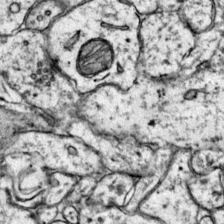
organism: Mouse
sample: Primary visual cortex